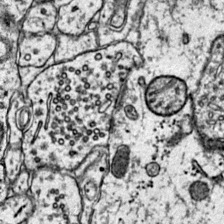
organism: Mouse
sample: Primary visual cortex